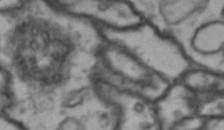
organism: Drosophila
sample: Brain